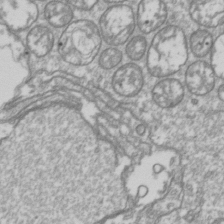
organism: Drosophila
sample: Cell division; meiosis; drosophila spermatocytes